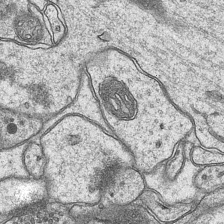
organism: Mouse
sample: CA1 Hippocampus